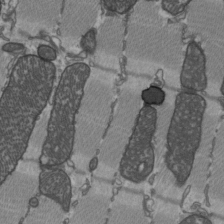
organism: C57BL Mouse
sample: Heart